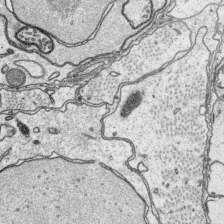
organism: Platynereis dumerilii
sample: Parapodia